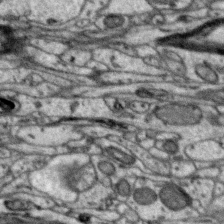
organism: Zebra finch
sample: Brain